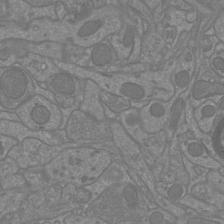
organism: Mouse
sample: Cortical neurons